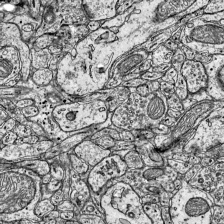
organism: Mouse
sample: Visual Cortex